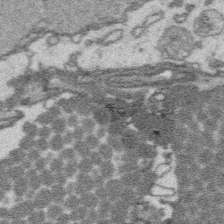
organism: Platynereis dumerilii